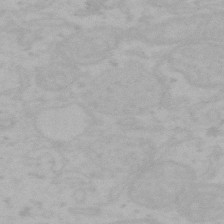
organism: Mouse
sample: Choroid plexus